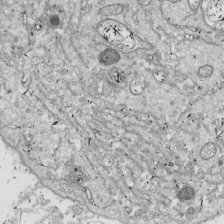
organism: Drosophila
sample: Cell division; meiosis; drosophila spermatocytes